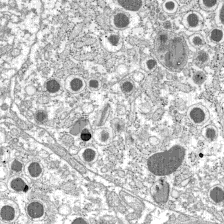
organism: C57BL Mouse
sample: Pancreatic islet